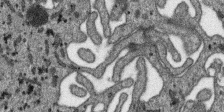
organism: Human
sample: Lung epithelial cells infected with SARS-CoV-2